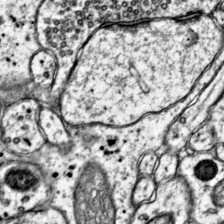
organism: Mouse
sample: Primary visual cortex